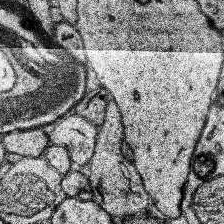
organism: Human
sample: Temporal Lobe